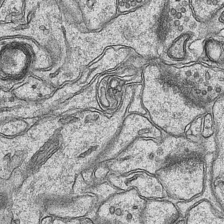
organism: Mouse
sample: CA1 Hippocampus